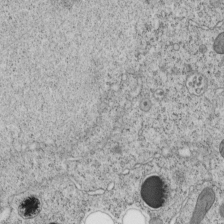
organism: C. elegans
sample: C. elegans embryo early stage